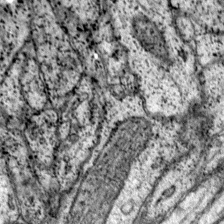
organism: Mouse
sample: Primary visual cortex